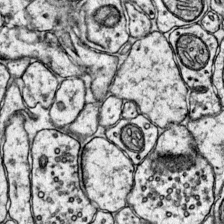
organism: Mouse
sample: Primary visual cortex